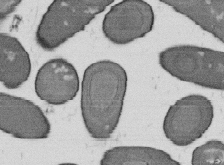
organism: B. subtilis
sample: Bacterial spore